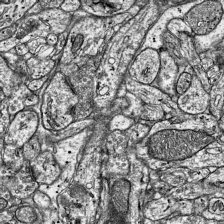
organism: Mouse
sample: Visual Cortex